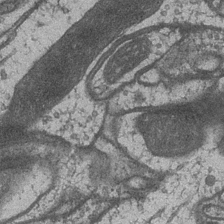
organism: Drosophila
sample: Optic medulla